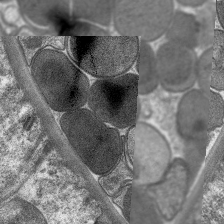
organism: C. elegans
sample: Pharynx